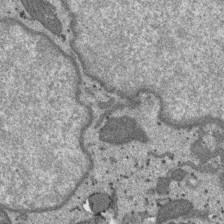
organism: Human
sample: Lung epithelial cells infected with SARS-CoV-2